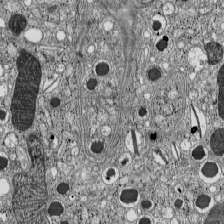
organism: C57BL Mouse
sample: Pancreatic islet